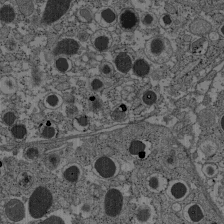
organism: C57BL Mouse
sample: Pancreatic islet